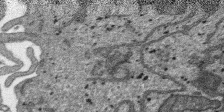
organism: Human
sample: Lung epithelial cells infected with SARS-CoV-2